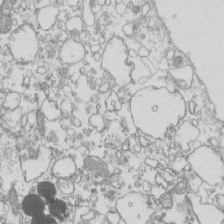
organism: Mouse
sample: Macrophages